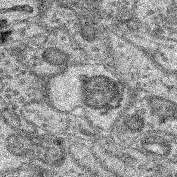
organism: Mouse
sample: Retina